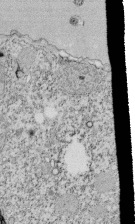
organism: Tetrahymena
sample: Cilia in tetrahymena